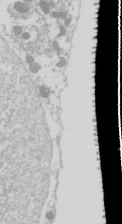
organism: Drosophila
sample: Cell division; meiosis; drosophila spermatocytes